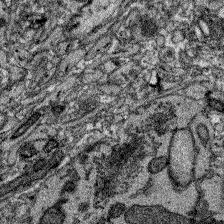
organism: Zebrafish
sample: Larval olfactory bulb